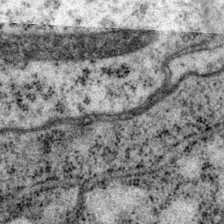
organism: P. pacificus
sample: Pharynx